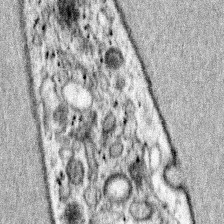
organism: Human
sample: HeLa cells